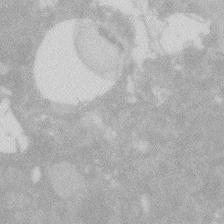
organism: Zebrafish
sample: Macrophage